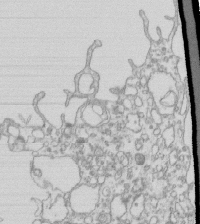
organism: Mouse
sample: Macrophages